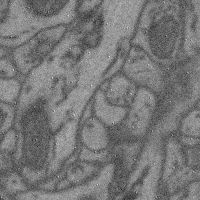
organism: Mouse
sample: Cerebral cortex